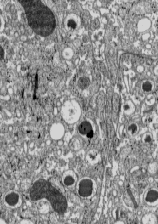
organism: C57BL Mouse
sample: Pancreatic islet